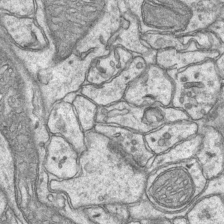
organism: Mouse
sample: CA1 Hippocampus